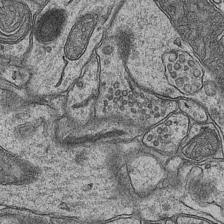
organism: Mouse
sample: CA1 Hippocampus